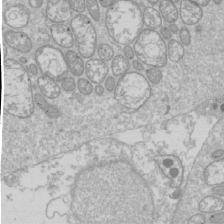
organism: Drosophila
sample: Cell division; meiosis; drosophila spermatocytes